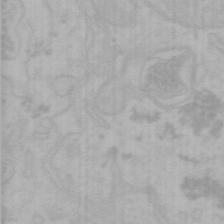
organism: Mouse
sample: Choroid plexus